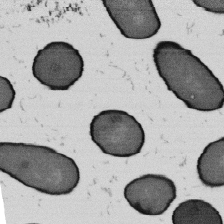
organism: B. subtilis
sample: Bacterial spore